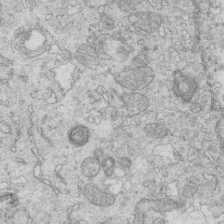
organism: Mouse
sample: Multiciliated cells